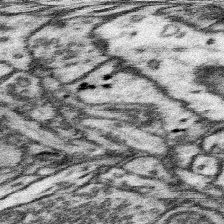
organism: Mouse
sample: Somatosensory cortex neuropil